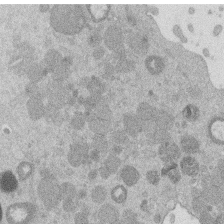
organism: Mouse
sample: Dividing mouse embryo 1 cell stage